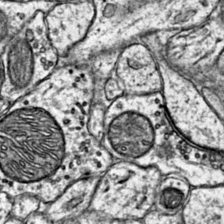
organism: Mouse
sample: Primary visual cortex